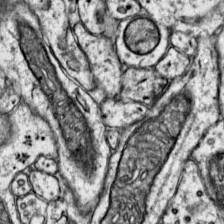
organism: Mouse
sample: Primary visual cortex